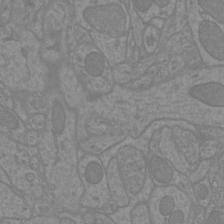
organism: Mouse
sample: Cortical neurons